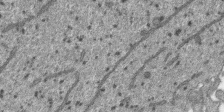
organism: Human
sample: Lung epithelial cells infected with SARS-CoV-2